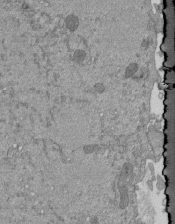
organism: Mouse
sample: ED-1 cell nuclei; centrioles